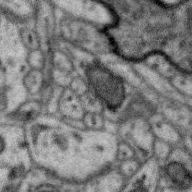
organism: Zebra finch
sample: Brain